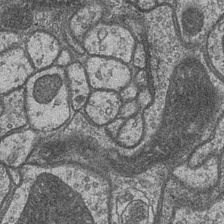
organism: Drosophila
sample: Optic medulla